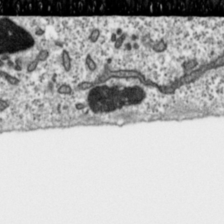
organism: Toxoplasma gondii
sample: Parasites in a vacuole inside a host cell